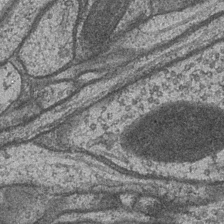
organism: Drosophila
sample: Optic medulla